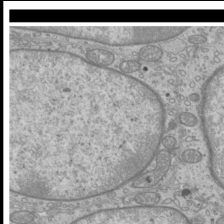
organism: Mouse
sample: Cilia; mouse epididymis